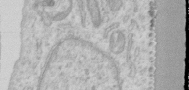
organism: Human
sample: Centriole in RPE cells